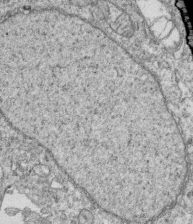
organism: Human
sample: HeLa cell HIV synapse